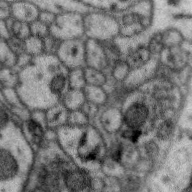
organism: Zebra finch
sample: Brain